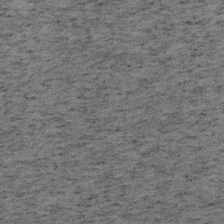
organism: Mouse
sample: OT-I killer T cells with ID8 ovarian cancer cells